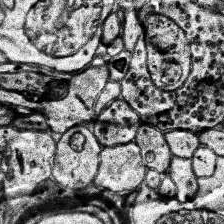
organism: Human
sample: Temporal Lobe